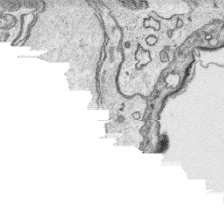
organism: Platynereis dumerilii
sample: Parapodia